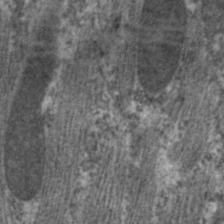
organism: C. elegans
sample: Pharynx